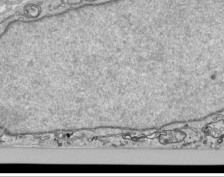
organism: Human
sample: Mitochondria in HCT116 cells